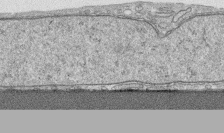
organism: Human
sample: CRL-1474